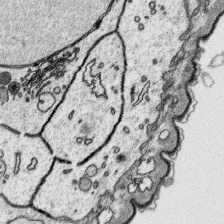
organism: Platynereis dumerilii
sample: Parapodia